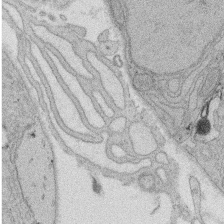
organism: Rat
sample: Salivary granule